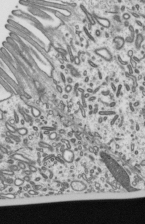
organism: Mouse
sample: Mouse epididymis efferent ductule cilia